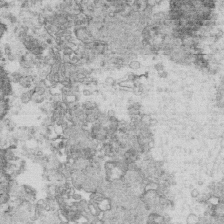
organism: Mouse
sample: Multiciliated cells